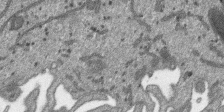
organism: Human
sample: Lung epithelial cells infected with SARS-CoV-2